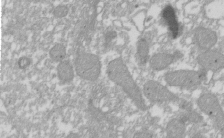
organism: Xenopus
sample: Cilia; centrioles in frog embryo cells